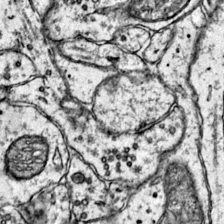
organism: Mouse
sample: Primary visual cortex